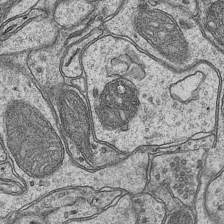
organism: Mouse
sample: CA1 Hippocampus